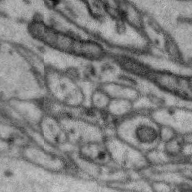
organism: Zebra finch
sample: Brain